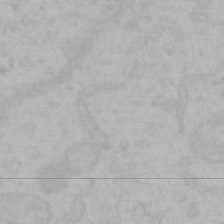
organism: Mouse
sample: Choroid plexus